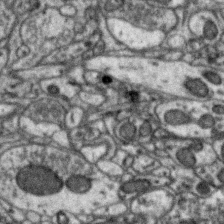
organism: Zebra finch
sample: Brain